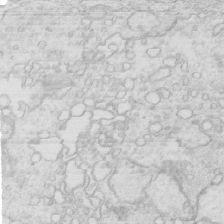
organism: Mouse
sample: Multiciliated cells